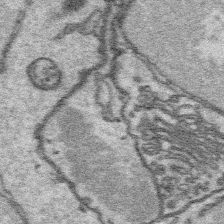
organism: Platynereis dumerilii